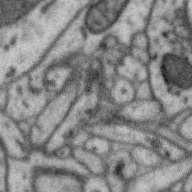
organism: Zebra finch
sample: Brain